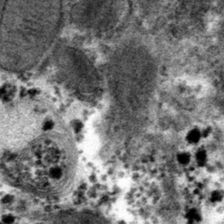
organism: Mouse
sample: Mouse hepatocytes